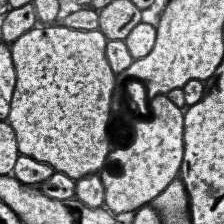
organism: Human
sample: Temporal Lobe